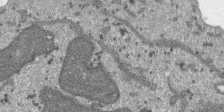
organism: Human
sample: Lung epithelial cells infected with SARS-CoV-2